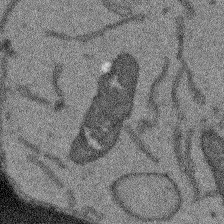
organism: Arabidopsis thaliana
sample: Root tip